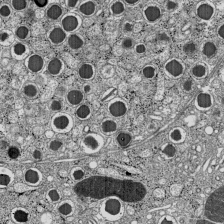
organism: C57BL Mouse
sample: Pancreatic islet